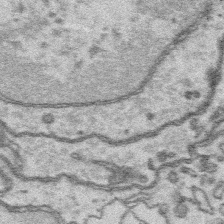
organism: Platynereis dumerilii